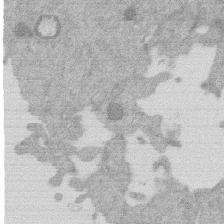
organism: Mouse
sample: Dividing mouse embryo 1 cell stage